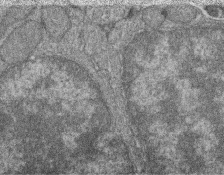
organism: Zebrafish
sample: Cilia; retinal pigment epithelium